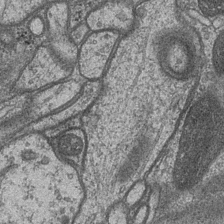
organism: Drosophila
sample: Optic medulla